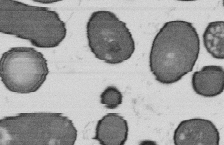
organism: B. subtilis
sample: Bacterial spore